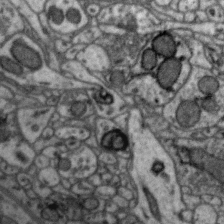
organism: Zebra finch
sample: Brain